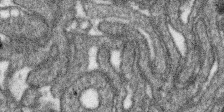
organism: Human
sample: Lung epithelial cells infected with SARS-CoV-2